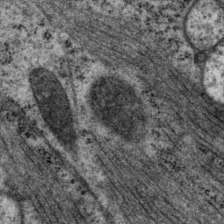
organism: P. pacificus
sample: Pharynx